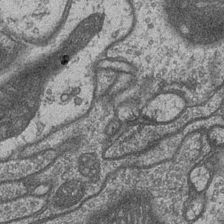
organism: Drosophila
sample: Optic medulla